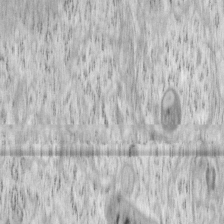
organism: Human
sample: HeLa cells